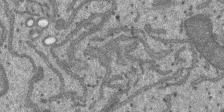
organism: Human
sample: Lung epithelial cells infected with SARS-CoV-2